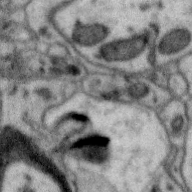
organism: Zebra finch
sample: Brain